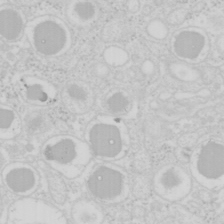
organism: Mouse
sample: Pancreas